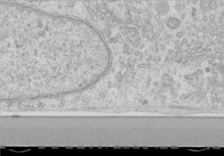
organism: Human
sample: Centriole in RPE cells